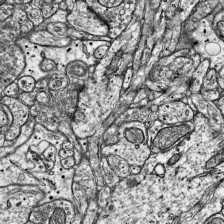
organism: Mouse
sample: Visual Cortex